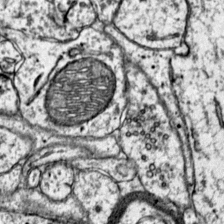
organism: Mouse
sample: Primary visual cortex